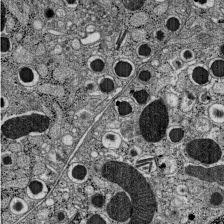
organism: C57BL Mouse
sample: Pancreatic islet